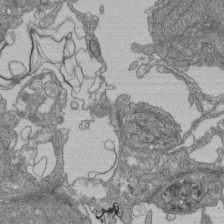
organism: Human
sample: Retinal organoid Rod and Cone cells